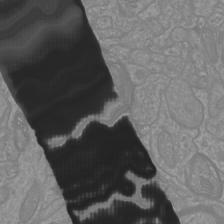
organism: Mouse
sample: Cortical neurons